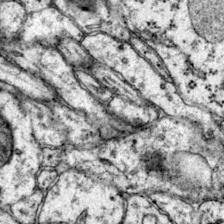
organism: Mouse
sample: Primary visual cortex